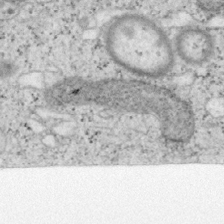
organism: Mouse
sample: OT-I killer T cells with ID8 ovarian cancer cells